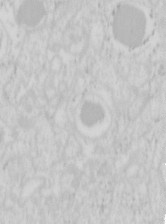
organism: Mouse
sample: Pancreas